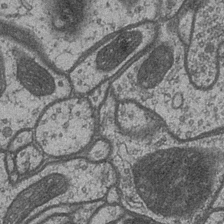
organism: Drosophila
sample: Optic medulla